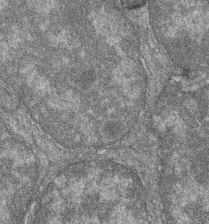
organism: Zebrafish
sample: Cilia; retinal pigment epithelium